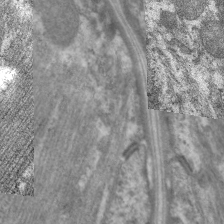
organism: C. elegans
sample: Pharynx